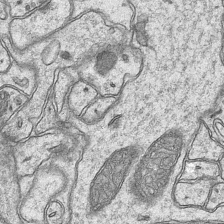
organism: Mouse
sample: CA1 Hippocampus